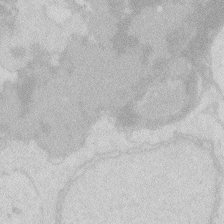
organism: Zebrafish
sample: Macrophage